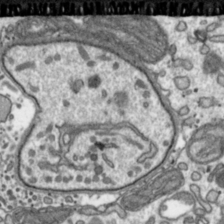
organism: Toxoplasma gondii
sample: Parasites in a vacuole inside a host cell